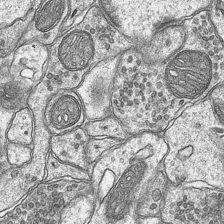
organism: Mouse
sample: CA1 Hippocampus